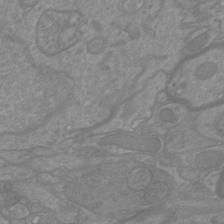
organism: Mouse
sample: Cortical neurons